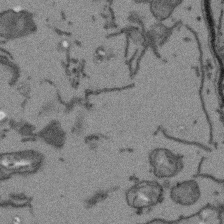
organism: Arabidopsis thaliana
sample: Root tip